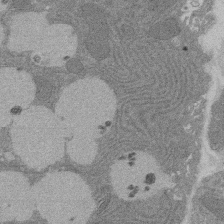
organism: Rat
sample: Salivary granule